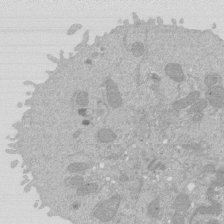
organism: Mouse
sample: Activated Pmel transgenic CD8+ T Cells